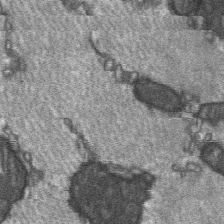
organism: C57BL Mouse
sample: Soleus